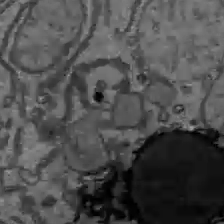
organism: C57BL Mouse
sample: Liver